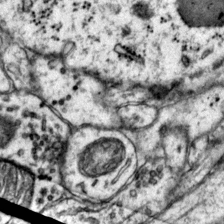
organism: Mouse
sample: Primary visual cortex